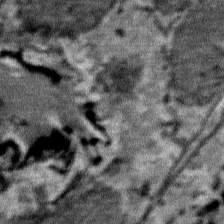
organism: Mouse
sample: Mouse Salivary gland